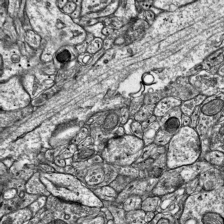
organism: Mouse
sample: Visual Cortex